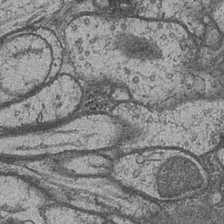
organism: Drosophila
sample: Optic medulla